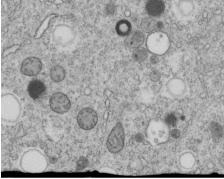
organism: C. elegans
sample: C. elegans embryo early stage